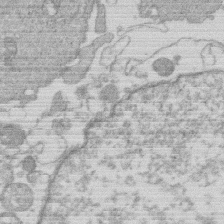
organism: Human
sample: Macrophage cells